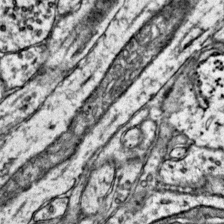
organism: Mouse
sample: Primary visual cortex